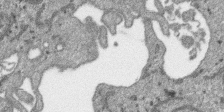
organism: Human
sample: Lung epithelial cells infected with SARS-CoV-2